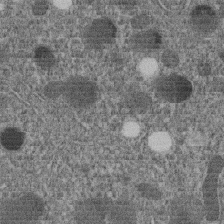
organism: C. elegans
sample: C. elegans embryo early stage